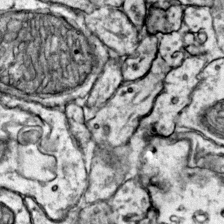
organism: Mouse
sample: Primary visual cortex